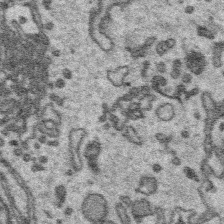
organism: Platynereis dumerilii